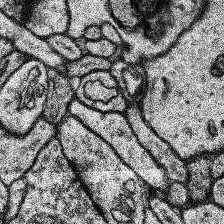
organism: Human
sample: Temporal Lobe